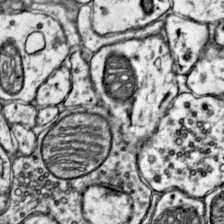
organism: Mouse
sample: Primary visual cortex